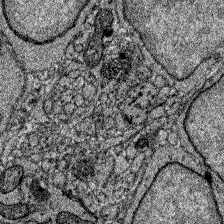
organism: Zebrafish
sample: Larval olfactory bulb